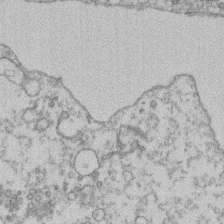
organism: Mouse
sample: T cell stromal cell synapse